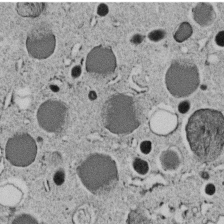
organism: C. elegans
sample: C. elegans embryo early stage